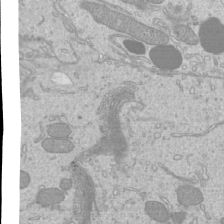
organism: Mouse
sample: Cilia; mouse epididymis